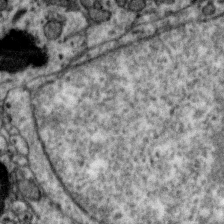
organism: Zebra finch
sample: Brain